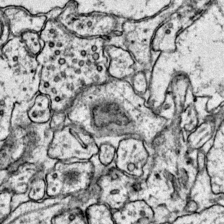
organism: Mouse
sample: Primary visual cortex